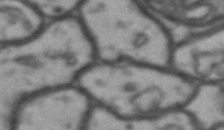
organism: Drosophila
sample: Brain